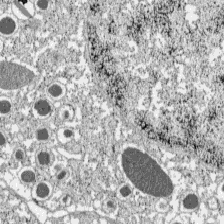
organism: C57BL Mouse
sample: Pancreatic islet